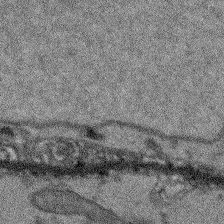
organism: Arabidopsis thaliana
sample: Root tip